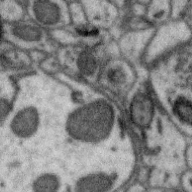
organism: Zebra finch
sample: Brain